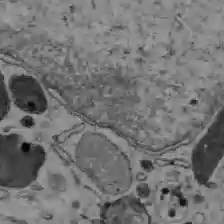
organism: C57BL Mouse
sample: Liver